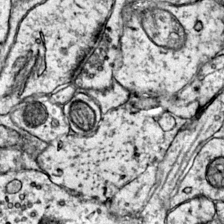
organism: Mouse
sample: Primary visual cortex